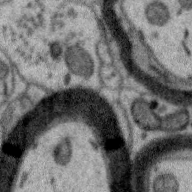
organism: Zebra finch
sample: Brain